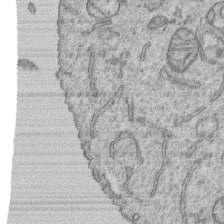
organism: Human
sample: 1205lu cells